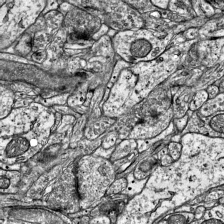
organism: Mouse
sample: Visual Cortex